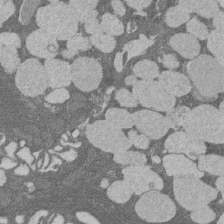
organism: Rat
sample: Salivary granule